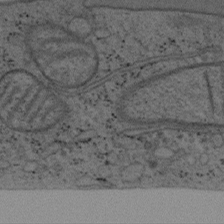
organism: Human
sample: HeLa cells